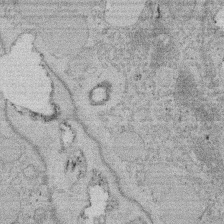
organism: Rat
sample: Salivary granule